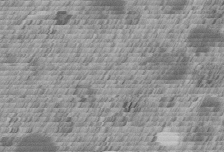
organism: C. elegans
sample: C. elegans embryo early stage